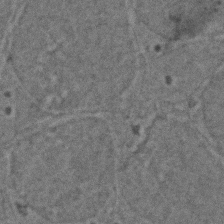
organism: Zebrafish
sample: Zebrafish embryo